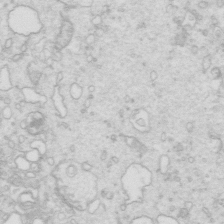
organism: Mouse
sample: Multiciliated cells